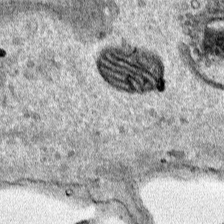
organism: Human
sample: Mitochondria in HCT116 cells